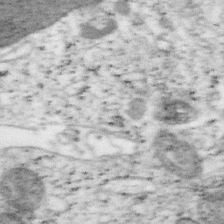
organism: Mouse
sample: OT-I killer T cells with ID8 ovarian cancer cells